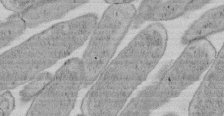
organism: E. coli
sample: Bacterial nucleoid